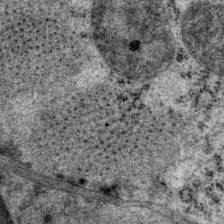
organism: P. pacificus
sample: Pharynx